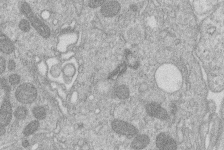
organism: Human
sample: Macrophage cells